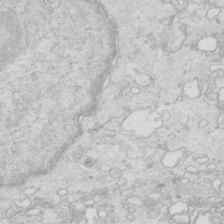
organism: Mouse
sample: Multiciliated cells